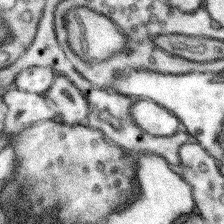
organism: Mouse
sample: Somatosensory cortex neuropil